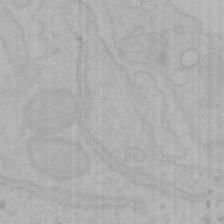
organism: Mouse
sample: Choroid plexus